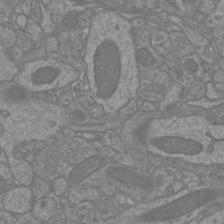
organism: Mouse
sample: Cortical neurons